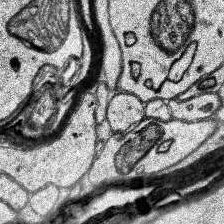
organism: Human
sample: Temporal Lobe